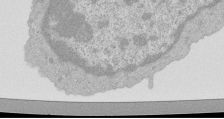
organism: Mouse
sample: Activated Pmel transgenic CD8+ T Cells